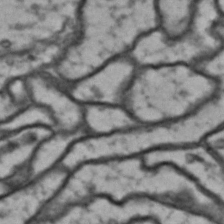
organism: Drosophila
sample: Brain